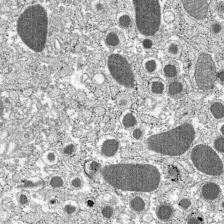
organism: C57BL Mouse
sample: Pancreatic islet